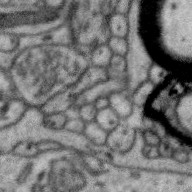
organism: Zebra finch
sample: Brain